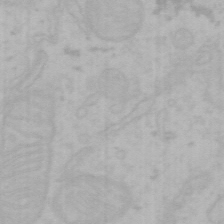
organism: Mouse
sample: Choroid plexus